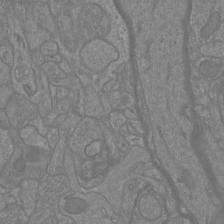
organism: Mouse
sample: Cortical neurons